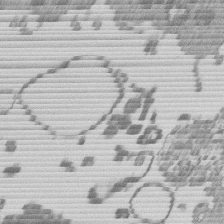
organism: Mouse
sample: Dividing mouse embryo 1 cell stage